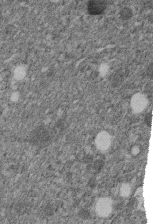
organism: C. elegans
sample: C. elegans embryo early stage